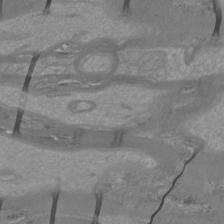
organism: Mouse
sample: Cortical neurons